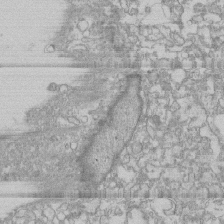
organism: Human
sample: CRL-1474